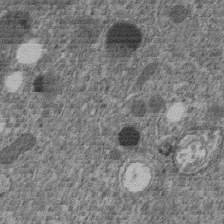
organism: C. elegans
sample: C. elegans embryo early stage